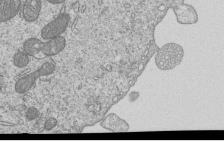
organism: Human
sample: MDA-MB-231 cells